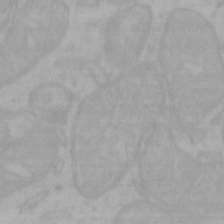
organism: Mouse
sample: Choroid plexus